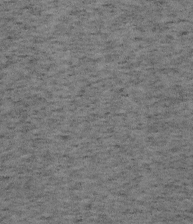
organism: Mouse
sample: OT-I killer T cells with ID8 ovarian cancer cells